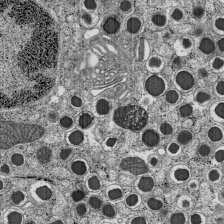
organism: C57BL Mouse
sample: Pancreatic islet